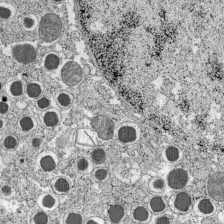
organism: C57BL Mouse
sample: Pancreatic islet